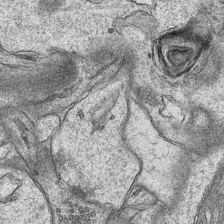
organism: Mouse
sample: CA1 Hippocampus